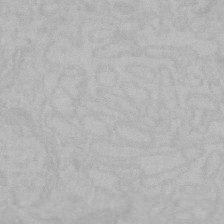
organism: Mouse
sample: Choroid plexus